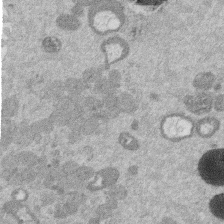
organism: Mouse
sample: Dividing mouse embryo 1 cell stage